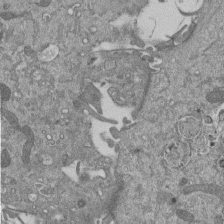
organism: Mouse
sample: ED-1 cell nuclei; centrioles